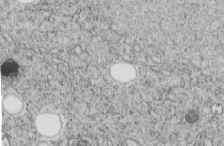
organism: C. elegans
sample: C. elegans embryo early stage